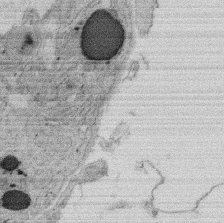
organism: Rat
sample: Salivary granule